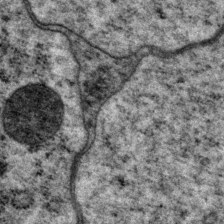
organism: P. pacificus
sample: Pharynx